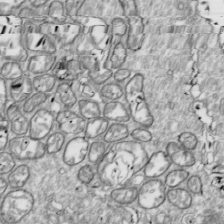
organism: Drosophila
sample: Cell division; meiosis; drosophila spermatocytes